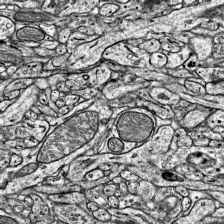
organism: Mouse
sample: Visual Cortex